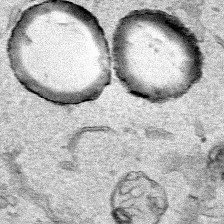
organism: Human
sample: Mitochondria in HCT116 cells